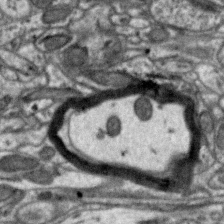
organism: Zebra finch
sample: Brain